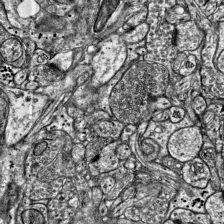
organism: Mouse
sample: Visual Cortex